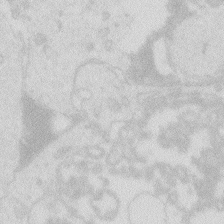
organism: Zebrafish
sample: Macrophage